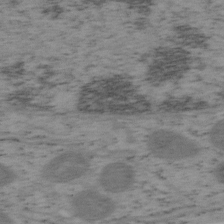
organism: Mouse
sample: OT-I killer T cells with ID8 ovarian cancer cells